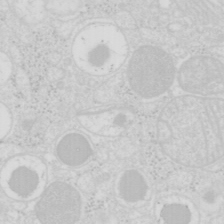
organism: Mouse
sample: Pancreas